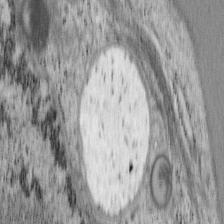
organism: Human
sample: HeLa cells